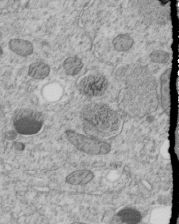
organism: C. elegans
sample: C. elegans embryo early stage